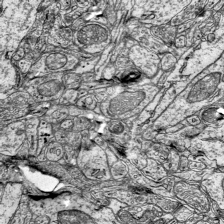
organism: Mouse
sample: Visual Cortex